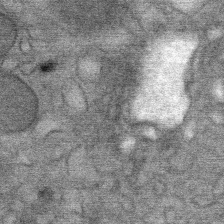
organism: Mouse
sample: Mouse Salivary gland